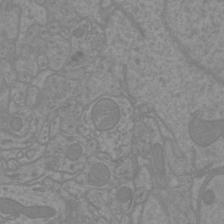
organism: Mouse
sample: Cortical neurons